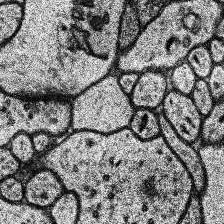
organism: Human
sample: Temporal Lobe